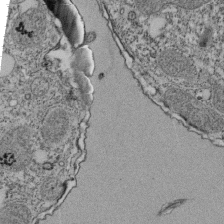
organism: Tetrahymena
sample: Cilia in tetrahymena